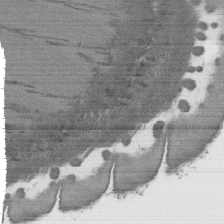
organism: C. elegans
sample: AFD neurons C. elegans